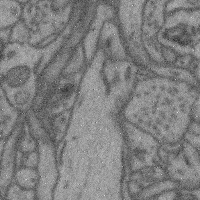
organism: Mouse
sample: Cerebral cortex